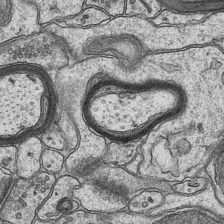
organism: Mouse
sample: CA1 Hippocampus